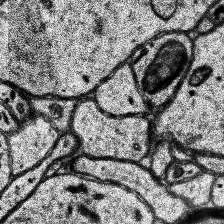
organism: Human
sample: Temporal Lobe